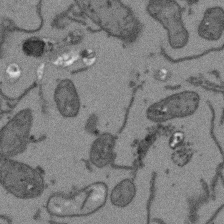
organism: Arabidopsis thaliana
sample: Root tip